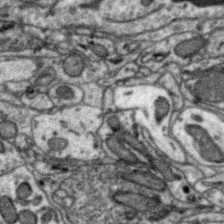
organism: Zebra finch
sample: Brain